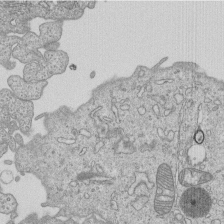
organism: Human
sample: MDA-MB-231 cells